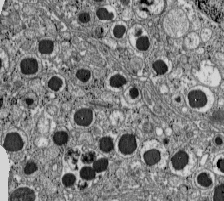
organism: C57BL Mouse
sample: Pancreatic islet